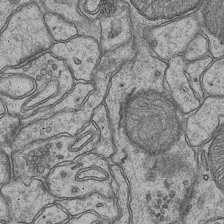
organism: Mouse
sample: CA1 Hippocampus